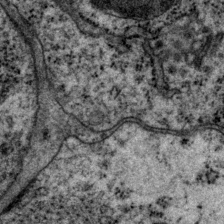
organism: P. pacificus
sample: Pharynx